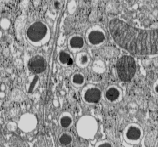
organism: C57BL Mouse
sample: Pancreatic islet